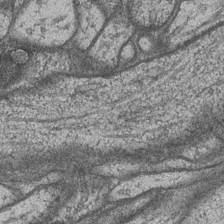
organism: Drosophila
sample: Optic medulla